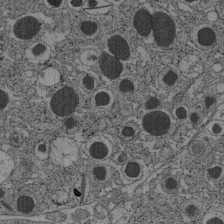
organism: C57BL Mouse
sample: Pancreatic islet